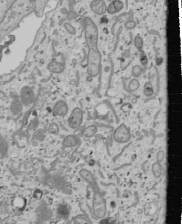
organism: Human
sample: Mitochondria in U2OS cells